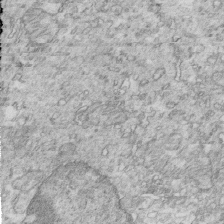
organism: Mouse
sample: Multiciliated cells